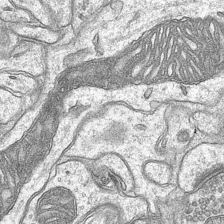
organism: Mouse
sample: CA1 Hippocampus